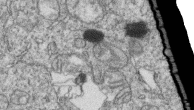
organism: Human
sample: HeLa cell HIV synapse